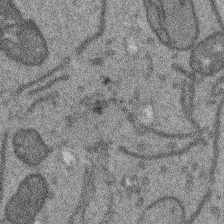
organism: Arabidopsis thaliana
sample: Root tip